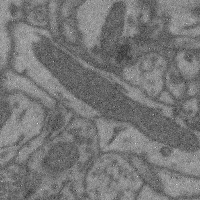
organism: Mouse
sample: Cerebral cortex